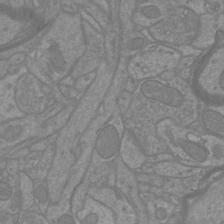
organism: Mouse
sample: Cortical neurons